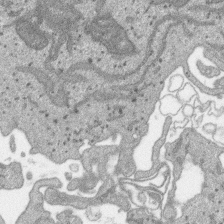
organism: Human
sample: Lung epithelial cells infected with SARS-CoV-2